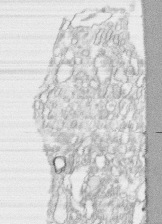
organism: Human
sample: CRL-1474